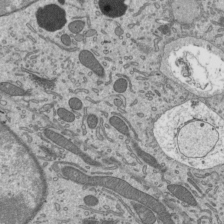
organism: Mouse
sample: Mouse epididymis efferent ductule cilia